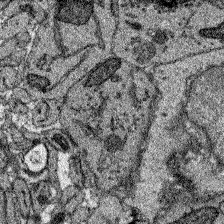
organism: Zebrafish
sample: Larval olfactory bulb